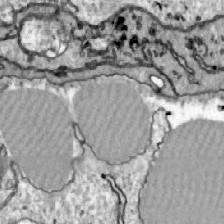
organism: Zebrafish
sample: Actinotrichia fibers